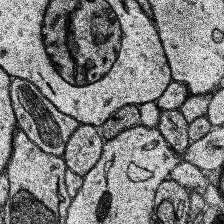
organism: Human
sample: Temporal Lobe